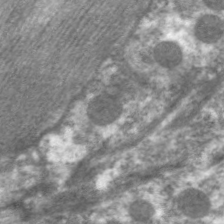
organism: C. elegans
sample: Pharynx